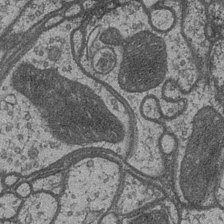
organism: Drosophila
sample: Optic medulla